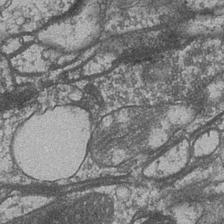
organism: Drosophila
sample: Optic medulla